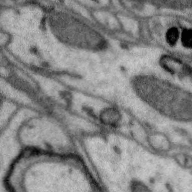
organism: Zebra finch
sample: Brain